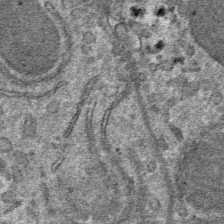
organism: Mouse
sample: Mouse hepatocytes